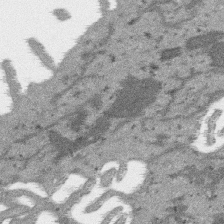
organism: Human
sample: Lung epithelial cells infected with SARS-CoV-2